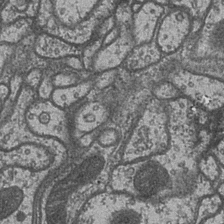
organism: Drosophila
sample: Optic medulla